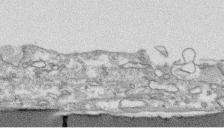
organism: Human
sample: CRL-1474